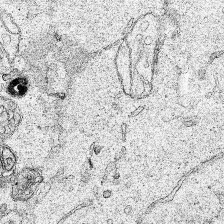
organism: Human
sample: Mitochondria in HCT116 cells